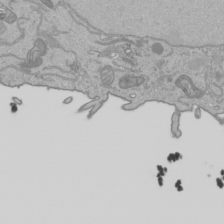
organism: Human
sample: Mitochondria in HCT116 cells